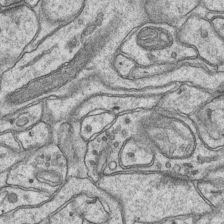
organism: Mouse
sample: CA1 Hippocampus